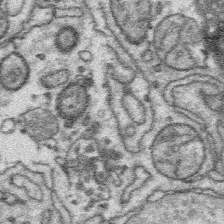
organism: Platynereis dumerilii